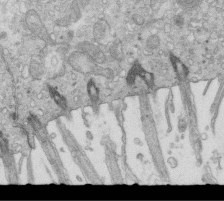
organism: Mouse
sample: Multiciliated cells